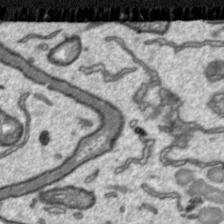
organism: Toxoplasma gondii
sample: Parasites in a vacuole inside a host cell